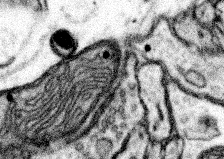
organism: Mouse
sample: Somatosensory cortex neuropil